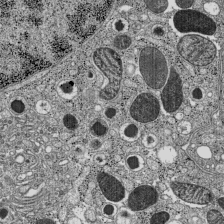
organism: C57BL Mouse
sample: Pancreatic islet